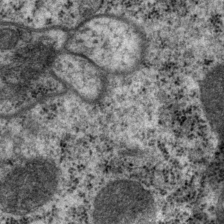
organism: P. pacificus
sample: Pharynx